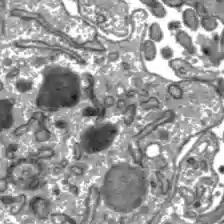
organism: C57BL Mouse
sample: Liver